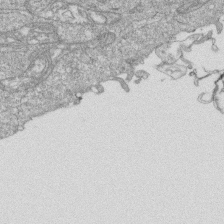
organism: Human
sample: HeLa cell HIV synapse